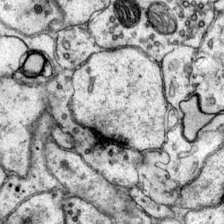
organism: Mouse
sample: Primary visual cortex